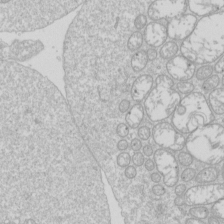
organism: Drosophila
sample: Cell division; meiosis; drosophila spermatocytes